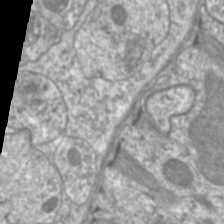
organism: C. elegans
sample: Pharynx